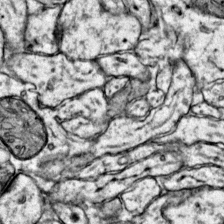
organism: Mouse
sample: Primary visual cortex